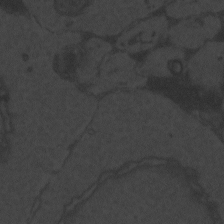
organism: Zebrafish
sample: Macrophage infected with Toxoplasma gondii